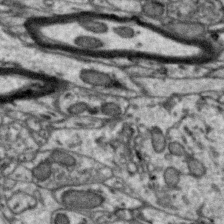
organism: Zebra finch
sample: Brain